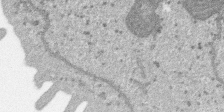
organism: Human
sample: Lung epithelial cells infected with SARS-CoV-2